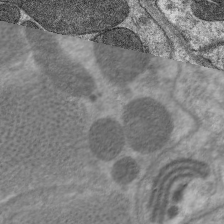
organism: C. elegans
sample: Pharynx